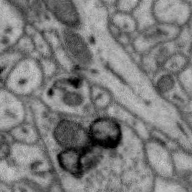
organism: Zebra finch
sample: Brain